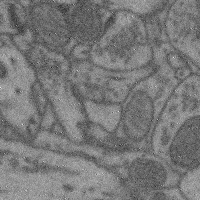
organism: Mouse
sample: Cerebral cortex